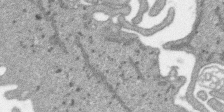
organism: Human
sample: Lung epithelial cells infected with SARS-CoV-2